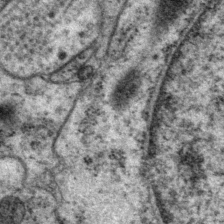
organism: P. pacificus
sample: Pharynx